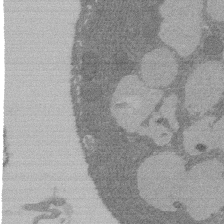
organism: Rat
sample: Salivary granule